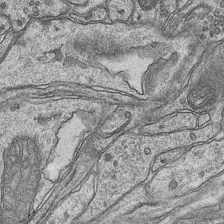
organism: Mouse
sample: CA1 Hippocampus